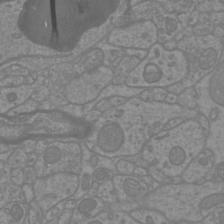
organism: Mouse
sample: Cortical neurons